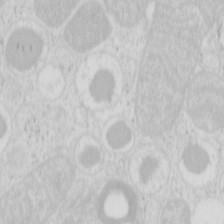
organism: Mouse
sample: Pancreas